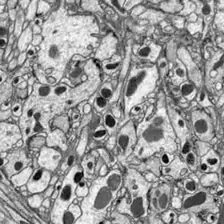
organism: Drosophila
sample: Optic lobe